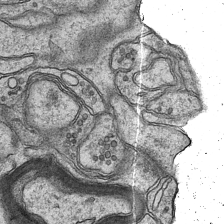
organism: Mouse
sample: CA1 Hippocampus